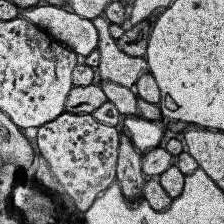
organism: Human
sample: Temporal Lobe